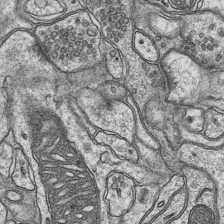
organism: Mouse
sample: CA1 Hippocampus